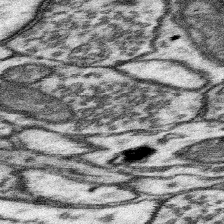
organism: Mouse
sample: Somatosensory cortex neuropil